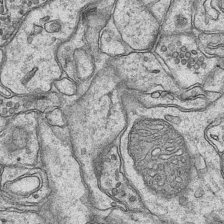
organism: Mouse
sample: CA1 Hippocampus